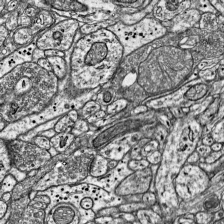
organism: Mouse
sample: Visual Cortex